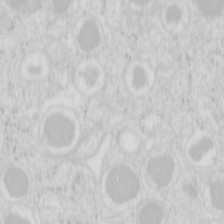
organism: Mouse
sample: Pancreas